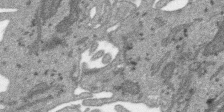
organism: Human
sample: Lung epithelial cells infected with SARS-CoV-2